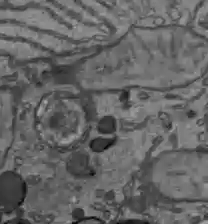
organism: C57BL Mouse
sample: Liver